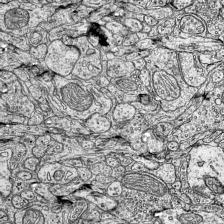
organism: Mouse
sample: Visual Cortex